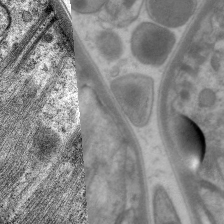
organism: C. elegans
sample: Pharynx